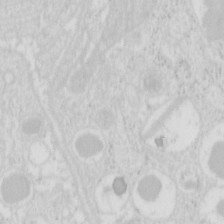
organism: Mouse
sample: Pancreas